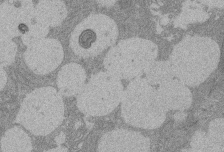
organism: Rat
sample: Salivary granule